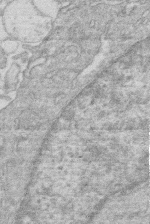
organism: Human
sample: Macrophage cells